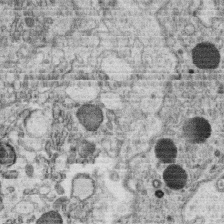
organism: C. elegans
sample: C. elegans oocyte; sperm cells